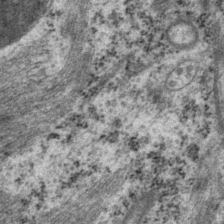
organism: P. pacificus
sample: Pharynx